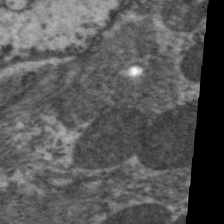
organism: C. elegans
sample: Pharynx